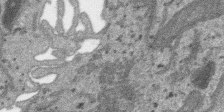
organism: Human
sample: Lung epithelial cells infected with SARS-CoV-2